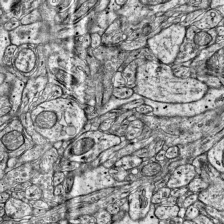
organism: Mouse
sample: Visual Cortex